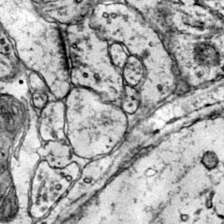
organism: Mouse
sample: Primary visual cortex